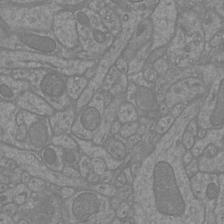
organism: Mouse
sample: Cortical neurons